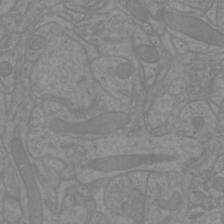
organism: Mouse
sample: Cortical neurons